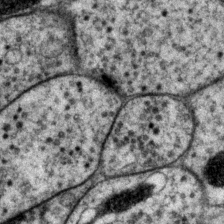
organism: P. pacificus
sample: Pharynx